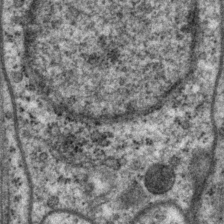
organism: P. pacificus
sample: Pharynx